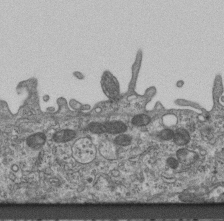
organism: Mouse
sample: Centriole in ependymal cells